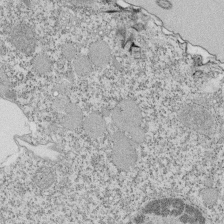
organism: Tetrahymena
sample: Cilia in tetrahymena